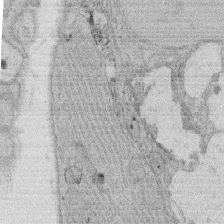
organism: Rat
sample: Salivary granule